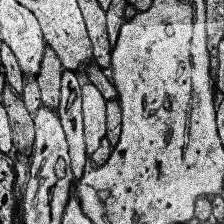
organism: Human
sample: Temporal Lobe